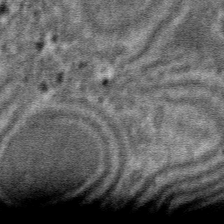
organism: Mouse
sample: Mouse hepatocytes